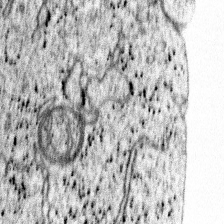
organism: Human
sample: HeLa cells